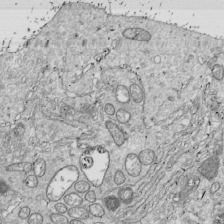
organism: Drosophila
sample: Cell division; meiosis; drosophila spermatocytes